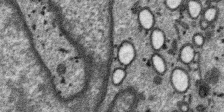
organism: Human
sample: Lung epithelial cells infected with SARS-CoV-2